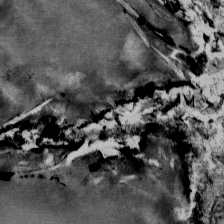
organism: Mouse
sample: Mouse Salivary gland